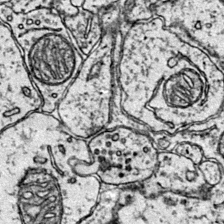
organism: Mouse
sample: Primary visual cortex